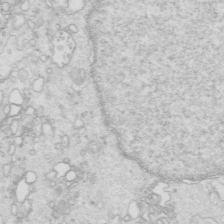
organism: Mouse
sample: Multiciliated cells